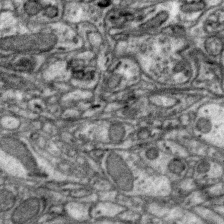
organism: Zebra finch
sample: Brain